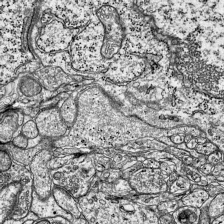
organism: Mouse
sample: Visual Cortex